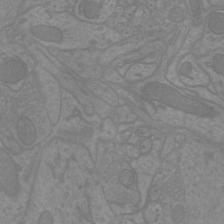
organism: Mouse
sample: Cortical neurons